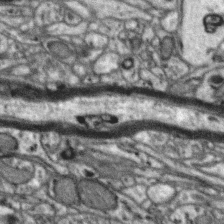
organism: Zebra finch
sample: Brain